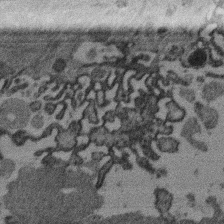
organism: Mouse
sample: Dividing mouse embryo 1 cell stage